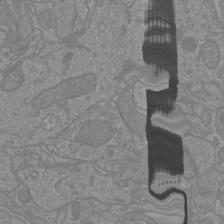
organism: Mouse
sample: Cortical neurons